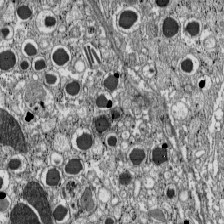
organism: C57BL Mouse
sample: Pancreatic islet